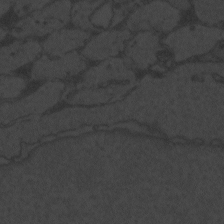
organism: Zebrafish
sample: Macrophage infected with Toxoplasma gondii